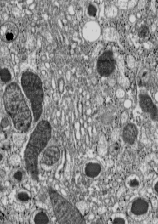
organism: C57BL Mouse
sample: Pancreatic islet